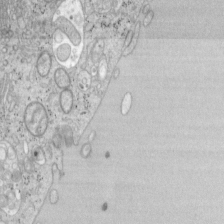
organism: Mouse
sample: OT-I killer T cells with ID8 ovarian cancer cells